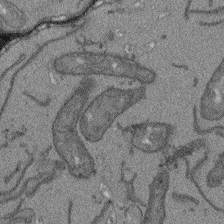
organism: Arabidopsis thaliana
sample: Root tip